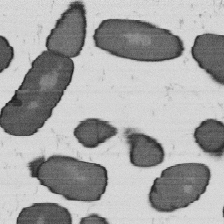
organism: B. subtilis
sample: Bacterial spore